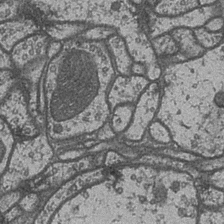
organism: Drosophila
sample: Optic medulla